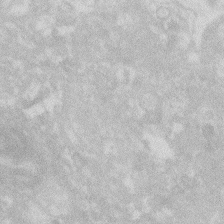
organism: Zebrafish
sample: Macrophage